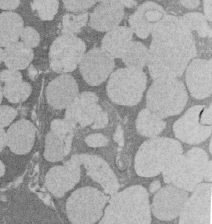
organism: Rat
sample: Salivary granule